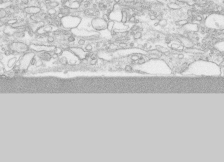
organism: Human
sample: CRL-1474